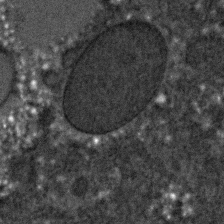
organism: C. elegans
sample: C. elegans embryo